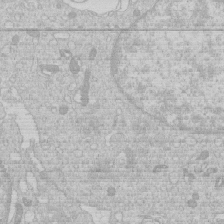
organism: Human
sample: Macrophage cells